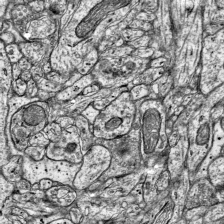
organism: Mouse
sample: Visual Cortex